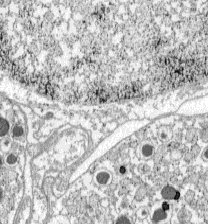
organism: C57BL Mouse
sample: Pancreatic islet